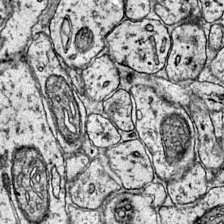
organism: Mouse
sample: Primary visual cortex